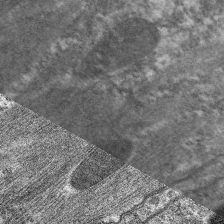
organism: C. elegans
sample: Pharynx